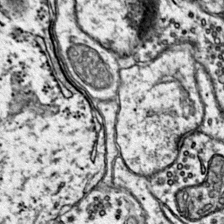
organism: Mouse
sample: Primary visual cortex